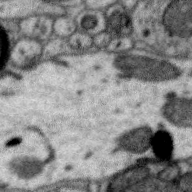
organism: Zebra finch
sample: Brain